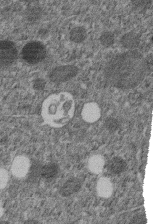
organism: C. elegans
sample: C. elegans embryo early stage